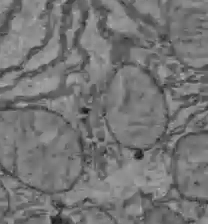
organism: C57BL Mouse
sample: Liver